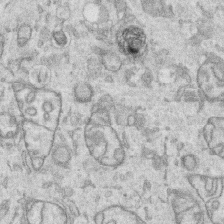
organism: Human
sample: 1205lu cells